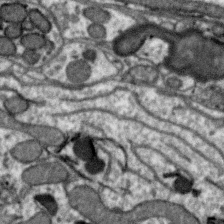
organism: Zebra finch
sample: Brain